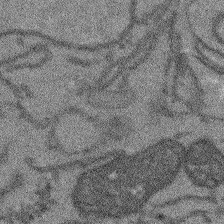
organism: Arabidopsis thaliana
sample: Root tip